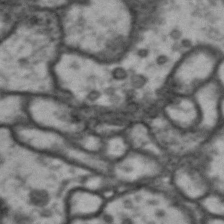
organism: Drosophila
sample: Brain